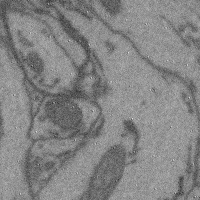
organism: Mouse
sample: Cerebral cortex